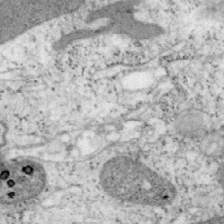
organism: Mouse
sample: OT-I killer T cells with ID8 ovarian cancer cells